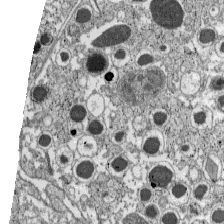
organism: C57BL Mouse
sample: Pancreatic islet